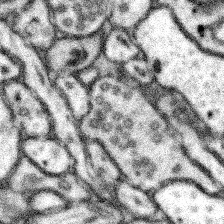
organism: Mouse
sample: Somatosensory cortex neuropil